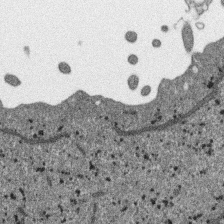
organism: Human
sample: Lung epithelial cells infected with SARS-CoV-2